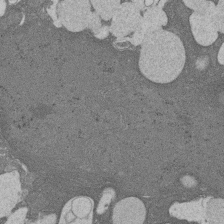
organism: Rat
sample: Salivary granule